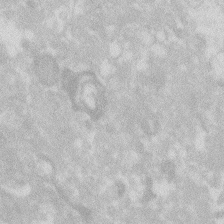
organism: Zebrafish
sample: Macrophage